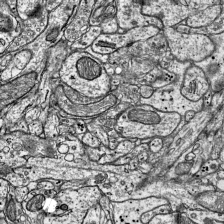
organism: Mouse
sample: Visual Cortex